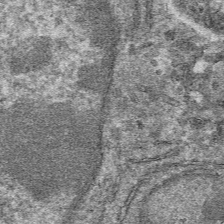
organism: Mouse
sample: Mouse hepatocytes